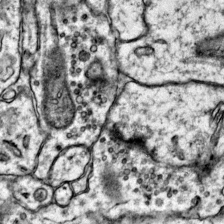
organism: Mouse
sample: Primary visual cortex